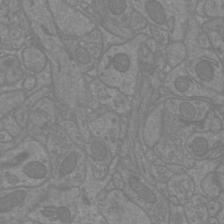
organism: Mouse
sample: Cortical neurons